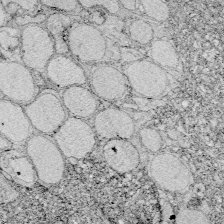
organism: Zebrafish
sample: Whole-Brain